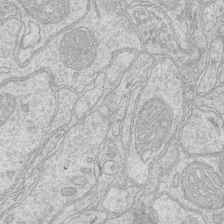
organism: Mouse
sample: CA1 Hippocampus